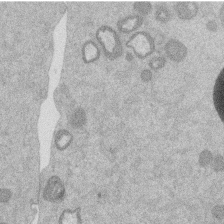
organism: Mouse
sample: Dividing mouse embryo 1 cell stage